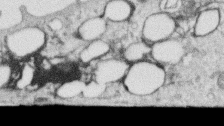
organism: Human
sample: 1205lu cells